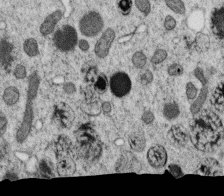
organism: C. elegans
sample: C. elegans oocyte; sperm cells